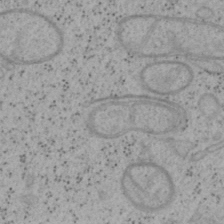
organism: Human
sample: HeLa cells